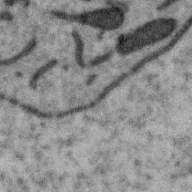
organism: Zebra finch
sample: Brain